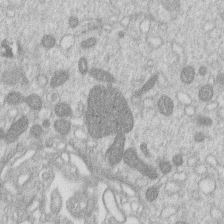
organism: Human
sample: Macrophage cells